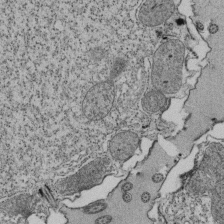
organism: Tetrahymena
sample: Cilia in tetrahymena